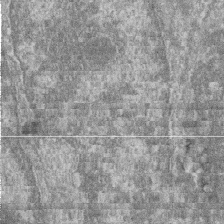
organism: Zebrafish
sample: Cilia; retinal pigment epithelium